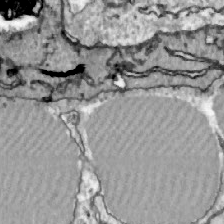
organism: Zebrafish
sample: Actinotrichia fibers